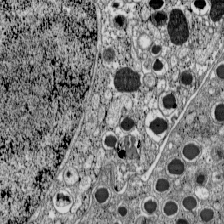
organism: C57BL Mouse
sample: Pancreatic islet